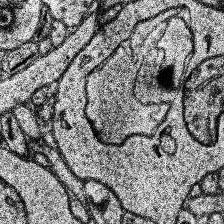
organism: Human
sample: Temporal Lobe